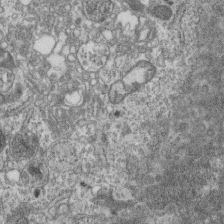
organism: Mouse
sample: Centriole in ependymal cells